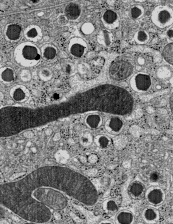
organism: C57BL Mouse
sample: Pancreatic islet